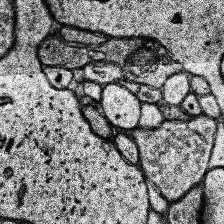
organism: Human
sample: Temporal Lobe